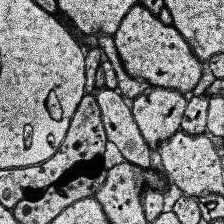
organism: Human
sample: Temporal Lobe